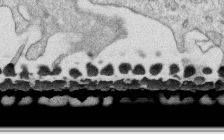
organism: Human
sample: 1205lu cells